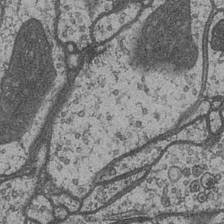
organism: Drosophila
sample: Optic medulla